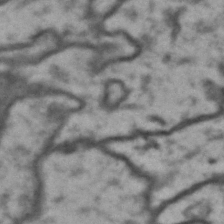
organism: Drosophila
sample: Brain